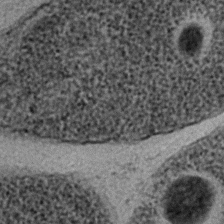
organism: C. elegans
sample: C. elegans embryo